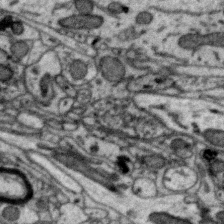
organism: Zebra finch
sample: Brain